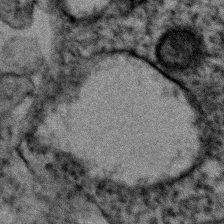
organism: Human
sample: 1205lu cells